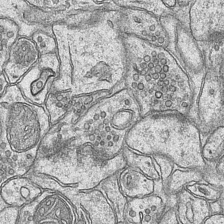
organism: Mouse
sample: CA1 Hippocampus